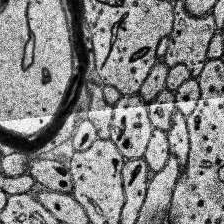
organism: Human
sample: Temporal Lobe